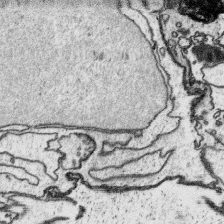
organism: Platynereis dumerilii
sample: Parapodia